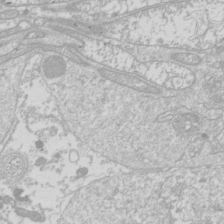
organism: Drosophila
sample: Cell division; meiosis; drosophila spermatocytes